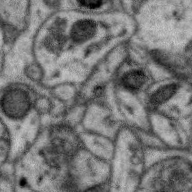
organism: Zebra finch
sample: Brain